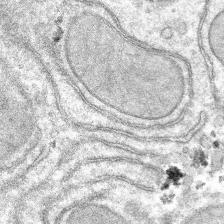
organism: Mouse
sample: Mouse hepatocytes